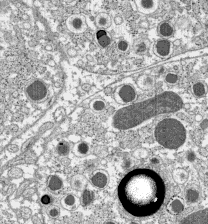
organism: C57BL Mouse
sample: Pancreatic islet